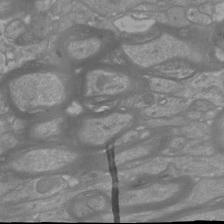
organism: Mouse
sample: Cortical neurons